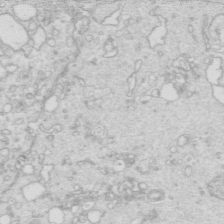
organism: Mouse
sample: Multiciliated cells